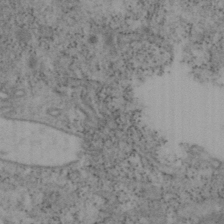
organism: Mouse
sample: OT-I killer T cells with ID8 ovarian cancer cells